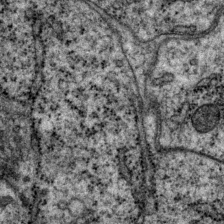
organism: P. pacificus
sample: Pharynx